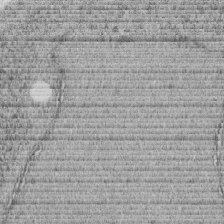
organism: C. elegans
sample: C. elegans embryo early stage